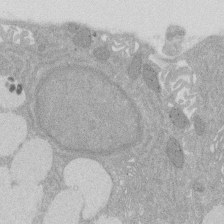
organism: Rat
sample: Salivary granule